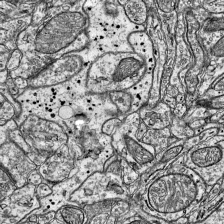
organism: Mouse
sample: Visual Cortex